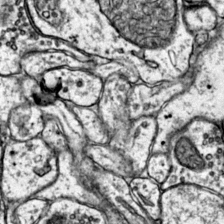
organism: Mouse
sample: Primary visual cortex